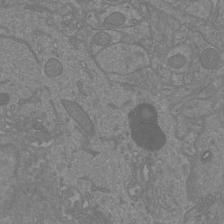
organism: Mouse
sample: Cortical neurons